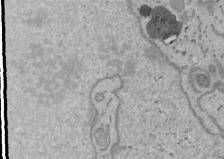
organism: Human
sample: Mitochondria in U2OS cells